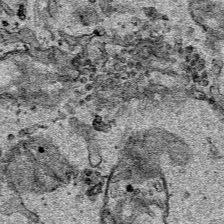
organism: Human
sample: Mitochondria in HCT116 cells